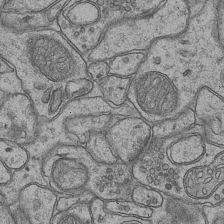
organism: Mouse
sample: CA1 Hippocampus